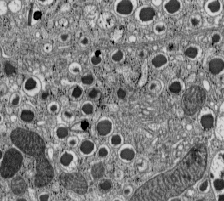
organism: C57BL Mouse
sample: Pancreatic islet